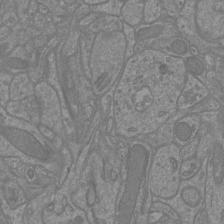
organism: Mouse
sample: Cortical neurons